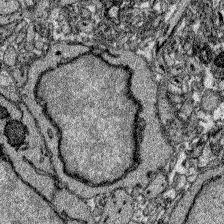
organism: Zebrafish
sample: Larval olfactory bulb